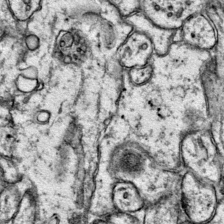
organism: Mouse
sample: Primary visual cortex